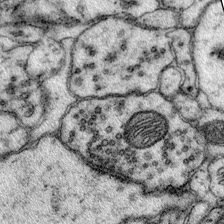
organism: Mouse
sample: Primary visual cortex